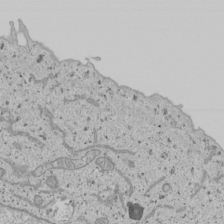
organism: Human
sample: Mitochondria in U2OS cells